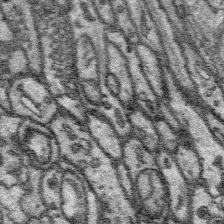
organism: Platynereis dumerilii